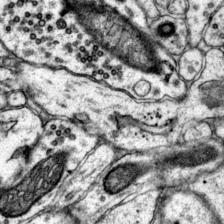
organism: Mouse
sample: Primary visual cortex